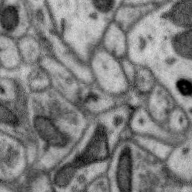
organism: Zebra finch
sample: Brain